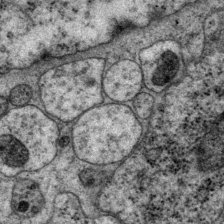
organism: P. pacificus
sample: Pharynx